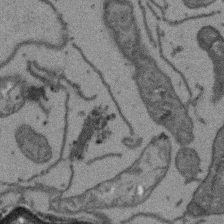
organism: Arabidopsis thaliana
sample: Root tip